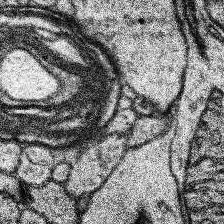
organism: Human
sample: Temporal Lobe